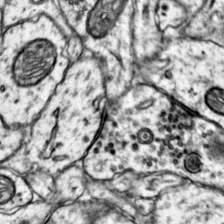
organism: Mouse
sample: Primary visual cortex